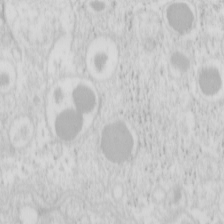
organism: Mouse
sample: Pancreas